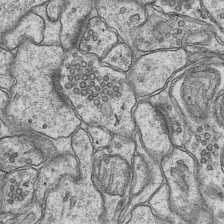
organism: Mouse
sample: CA1 Hippocampus